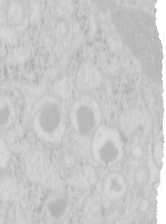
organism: Mouse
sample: Pancreas